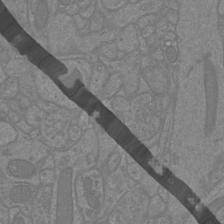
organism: Mouse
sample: Cortical neurons